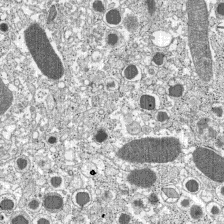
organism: C57BL Mouse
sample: Pancreatic islet